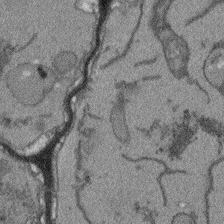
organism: Arabidopsis thaliana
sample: Root tip